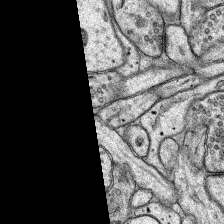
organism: Rat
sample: Hippocampus